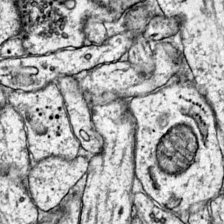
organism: Mouse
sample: Primary visual cortex